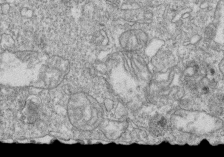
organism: Human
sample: HeLa cell HIV synapse